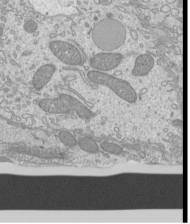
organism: Mouse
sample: Cilia; mouse epididymis